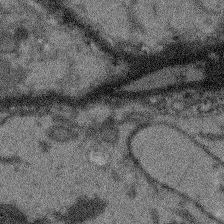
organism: Arabidopsis thaliana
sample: Root tip